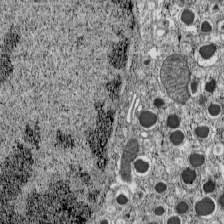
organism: C57BL Mouse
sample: Pancreatic islet